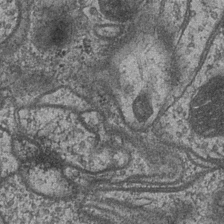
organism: Drosophila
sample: Optic medulla